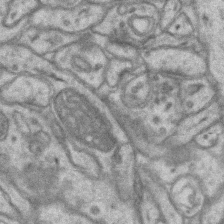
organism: Mouse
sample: CA1 Hippocampus